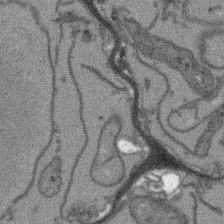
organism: Arabidopsis thaliana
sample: Root tip